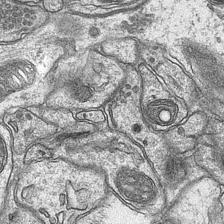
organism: Mouse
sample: CA1 Hippocampus